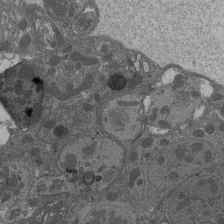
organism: Drosophila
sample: Antenna